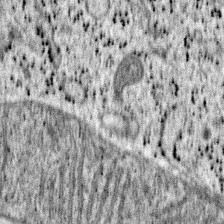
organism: Human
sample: HeLa cells